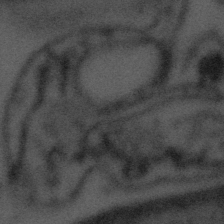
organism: Tuwongella immobilis